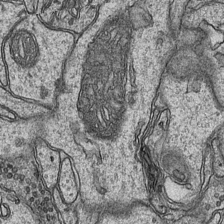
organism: Mouse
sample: CA1 Hippocampus